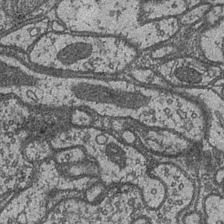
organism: Drosophila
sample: Optic medulla